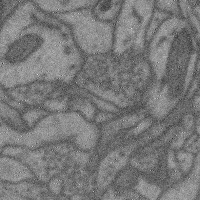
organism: Mouse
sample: Cerebral cortex